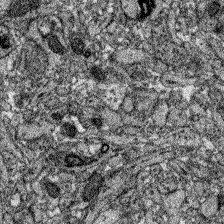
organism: Zebrafish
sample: Larval olfactory bulb